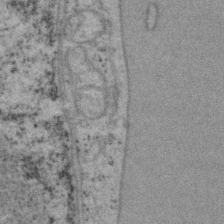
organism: Human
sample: HeLa cells